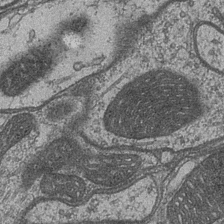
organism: Drosophila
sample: Optic medulla